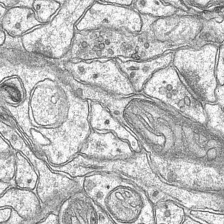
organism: Mouse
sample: CA1 Hippocampus